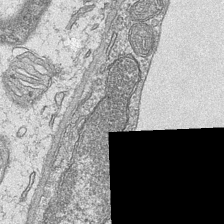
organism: Mouse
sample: CA1 Hippocampus